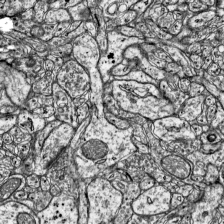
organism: Mouse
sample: Visual Cortex